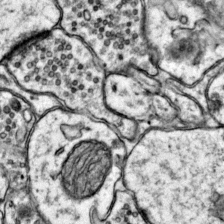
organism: Mouse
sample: Primary visual cortex